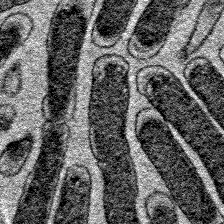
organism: E. coli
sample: E. Coli Bacteria